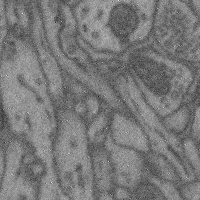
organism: Mouse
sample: Cerebral cortex